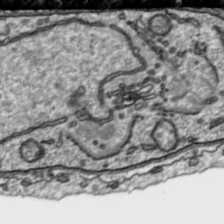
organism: Toxoplasma gondii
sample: Parasites in a vacuole inside a host cell